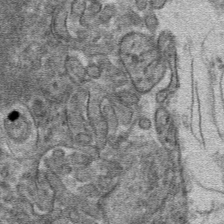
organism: Mouse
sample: Mouse hepatocytes